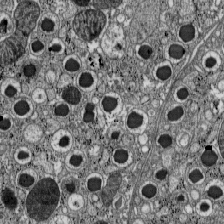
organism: C57BL Mouse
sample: Pancreatic islet